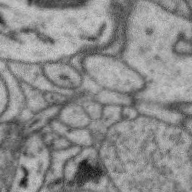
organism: Zebra finch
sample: Brain